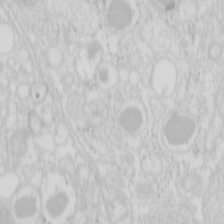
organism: Mouse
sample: Pancreas